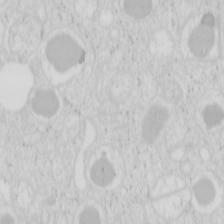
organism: Mouse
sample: Pancreas